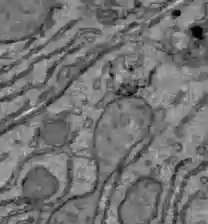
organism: C57BL Mouse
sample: Liver